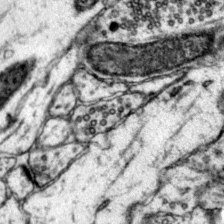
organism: Mouse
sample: Primary visual cortex